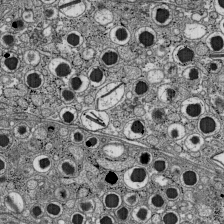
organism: C57BL Mouse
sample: Pancreatic islet